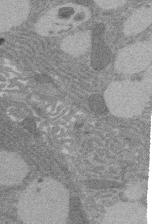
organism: Rat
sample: Salivary granule